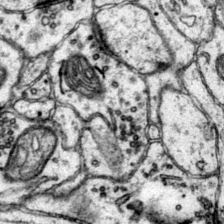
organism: Mouse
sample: Primary visual cortex